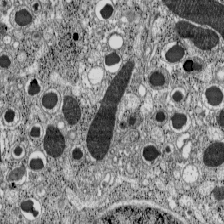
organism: C57BL Mouse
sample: Pancreatic islet